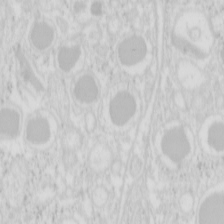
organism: Mouse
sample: Pancreas